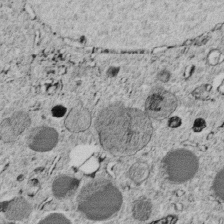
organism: C. elegans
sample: C. elegans embryo early stage